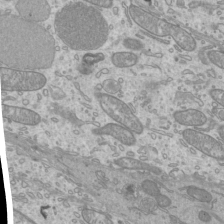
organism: Mouse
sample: Cilia; mouse epididymis